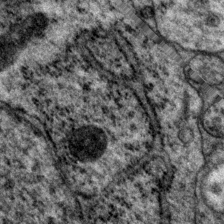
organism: P. pacificus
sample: Pharynx